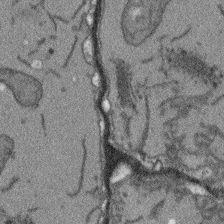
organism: Arabidopsis thaliana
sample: Root tip